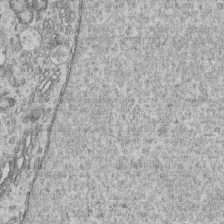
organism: Human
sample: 1205lu cells